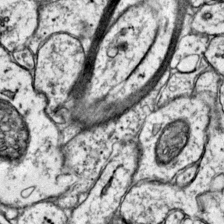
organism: Mouse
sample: Primary visual cortex